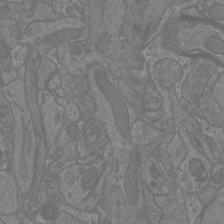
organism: Mouse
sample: Cortical neurons